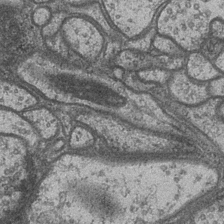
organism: Drosophila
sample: Optic medulla